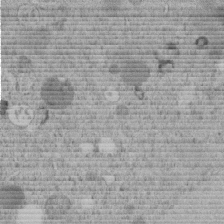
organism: C. elegans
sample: C. elegans embryo early stage